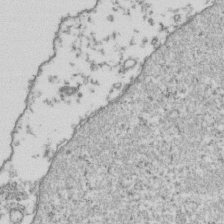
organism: Human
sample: Activated Jurkat CD4+ T cells